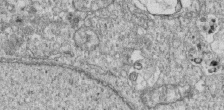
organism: Human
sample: HeLa cell HIV synapse